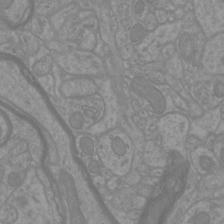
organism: Mouse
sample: Cortical neurons